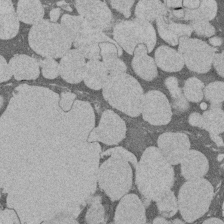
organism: Rat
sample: Salivary granule